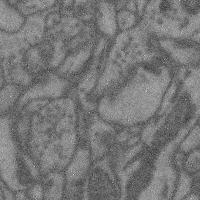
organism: Mouse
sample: Cerebral cortex